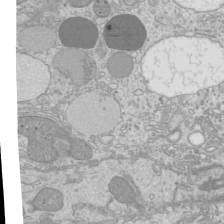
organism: Mouse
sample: Cilia; mouse epididymis